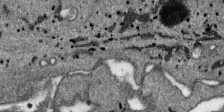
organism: Human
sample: Lung epithelial cells, uninfected (mock) control